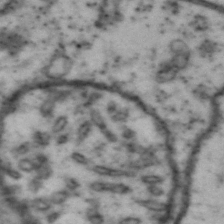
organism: Drosophila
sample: Brain